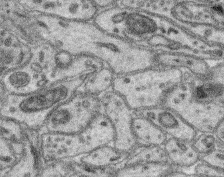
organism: Mouse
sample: Retina